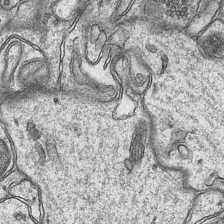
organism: Mouse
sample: CA1 Hippocampus